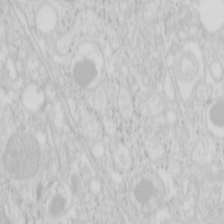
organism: Mouse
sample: Pancreas